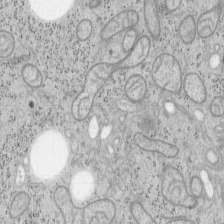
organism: Mouse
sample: OT-I killer T cells with ID8 ovarian cancer cells